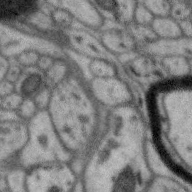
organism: Zebra finch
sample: Brain